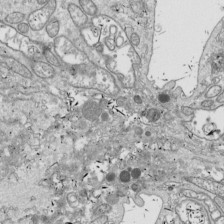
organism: Drosophila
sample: Cell division; meiosis; drosophila spermatocytes